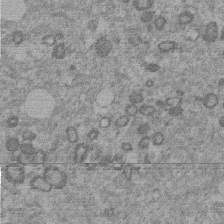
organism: Mouse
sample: Dividing mouse embryo 1 cell stage